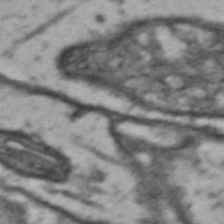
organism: Drosophila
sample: Brain